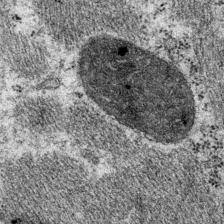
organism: P. pacificus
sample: Pharynx